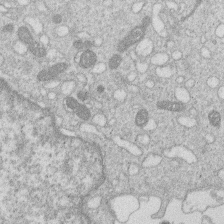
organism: Human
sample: Macrophage cells